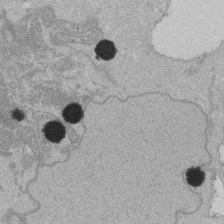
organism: Human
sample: Activated Jurkat CD4+ T cells